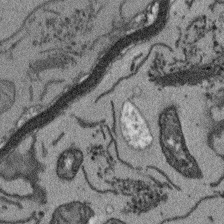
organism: Arabidopsis thaliana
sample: Root tip